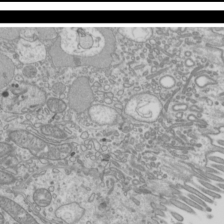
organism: Mouse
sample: Cilia; mouse epididymis